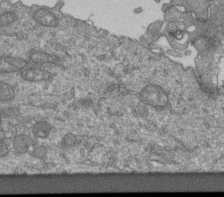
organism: Human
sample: Retinal organoid Rod and Cone cells